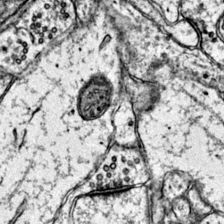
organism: Mouse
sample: Primary visual cortex